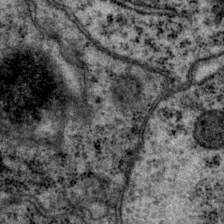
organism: P. pacificus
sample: Pharynx